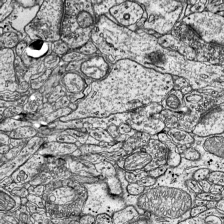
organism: Mouse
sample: Visual Cortex